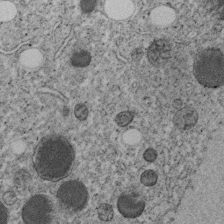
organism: C. elegans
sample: C. elegans embryo early stage